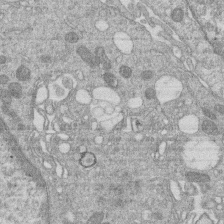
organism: Human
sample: Macrophage cells